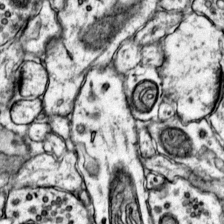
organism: Mouse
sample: Primary visual cortex